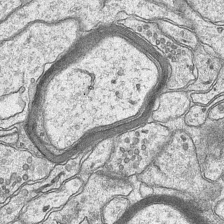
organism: Mouse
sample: CA1 Hippocampus